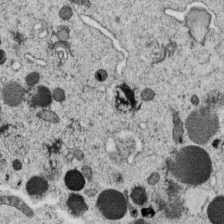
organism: C. elegans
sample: C. elegans oocyte; sperm cells